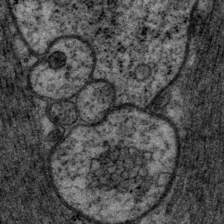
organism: P. pacificus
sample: Pharynx